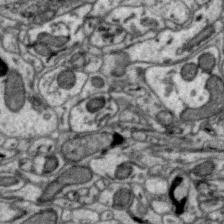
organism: Zebra finch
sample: Brain